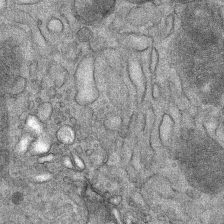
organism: Mouse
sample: Mouse Salivary gland